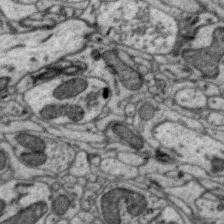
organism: Zebra finch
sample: Brain